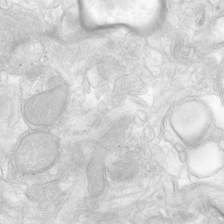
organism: Human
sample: Neocortex